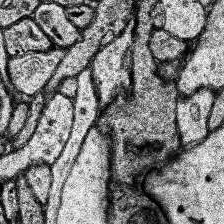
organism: Human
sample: Temporal Lobe